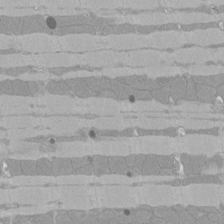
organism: Rat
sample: Left ventricle